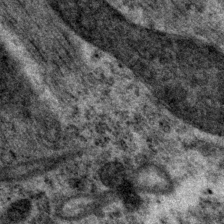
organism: P. pacificus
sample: Pharynx